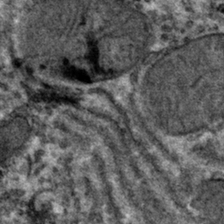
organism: Mouse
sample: Mouse hepatocytes